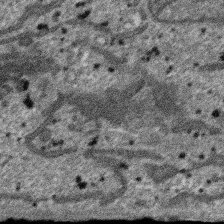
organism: Human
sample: Lung epithelial cells infected with SARS-CoV-2